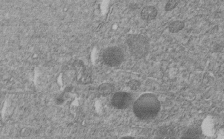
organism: C. elegans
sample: C. elegans embryo early stage